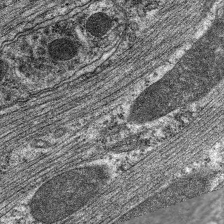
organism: C. elegans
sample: Pharynx